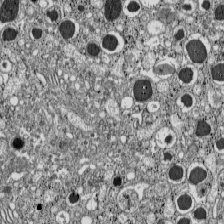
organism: C57BL Mouse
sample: Pancreatic islet